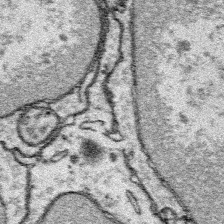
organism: Platynereis dumerilii